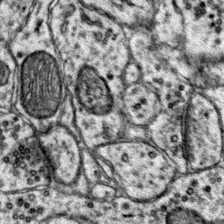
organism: Mouse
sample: Primary visual cortex